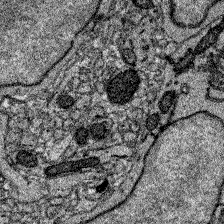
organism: Zebrafish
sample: Larval olfactory bulb